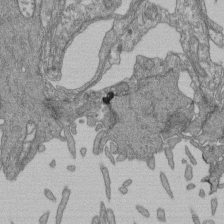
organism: Human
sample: Retinal organoid Rod and Cone cells